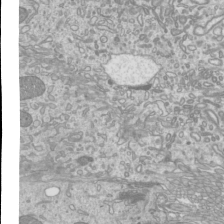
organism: Mouse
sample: Cilia; mouse epididymis